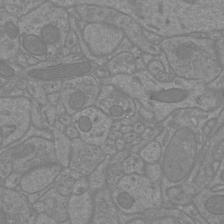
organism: Mouse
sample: Cortical neurons